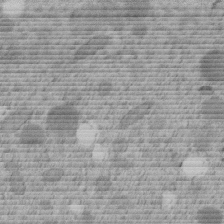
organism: C. elegans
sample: C. elegans embryo early stage